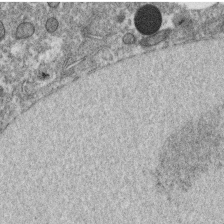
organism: C. elegans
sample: C. elegans oocyte; sperm cells